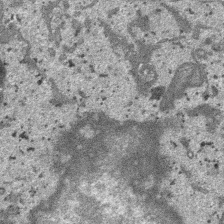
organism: Human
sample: Lung epithelial cells infected with SARS-CoV-2